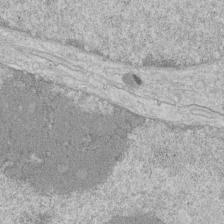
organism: Human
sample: Mitochondria in HCT116 cells